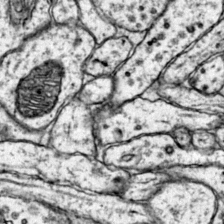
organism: Mouse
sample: Primary visual cortex